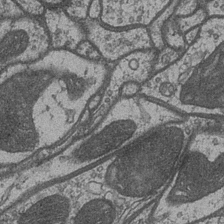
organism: Drosophila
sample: Optic medulla